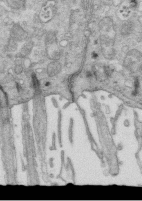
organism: Mouse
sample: Multiciliated cells